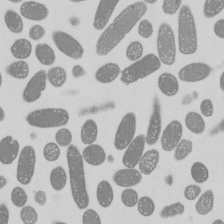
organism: E. coli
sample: Bacterial nucleoid